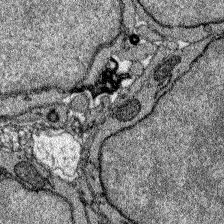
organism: Zebrafish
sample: Larval olfactory bulb